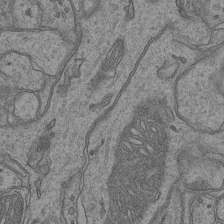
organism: Mouse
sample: CA1 Hippocampus